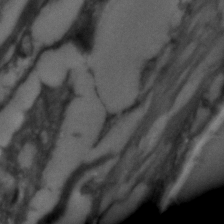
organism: C. elegans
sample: C. elegans embryo